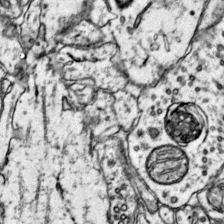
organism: Mouse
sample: Primary visual cortex